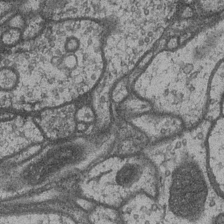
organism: Drosophila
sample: Optic medulla